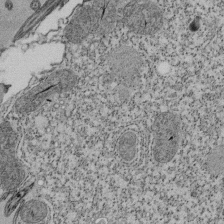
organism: Tetrahymena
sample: Cilia in tetrahymena